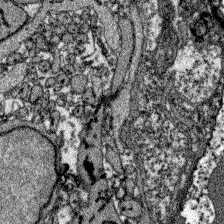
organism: Zebrafish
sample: Larval olfactory bulb